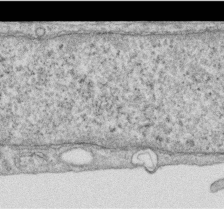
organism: Human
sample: Centriole in RPE cells